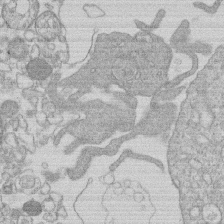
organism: Human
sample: Macrophage cells